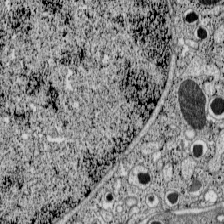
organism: C57BL Mouse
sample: Pancreatic islet